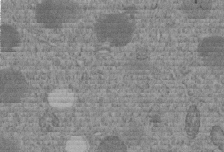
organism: C. elegans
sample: C. elegans embryo early stage